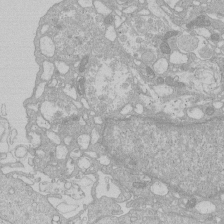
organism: Human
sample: Macrophage cells